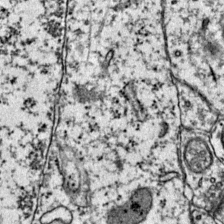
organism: Mouse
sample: Primary visual cortex